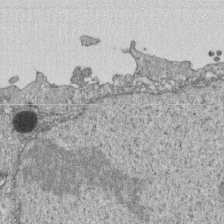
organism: Human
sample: HeLa cell HIV synapse